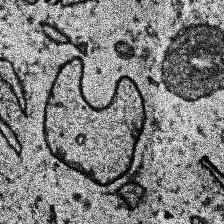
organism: Human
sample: Temporal Lobe